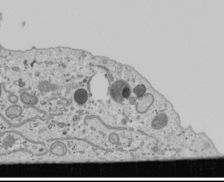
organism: Human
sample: Mitochondria in U2OS cells